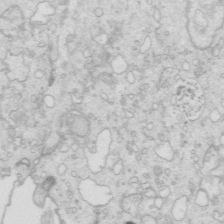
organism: Mouse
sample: Multiciliated cells